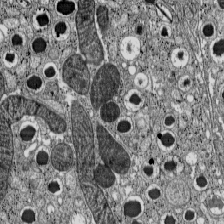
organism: C57BL Mouse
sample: Pancreatic islet